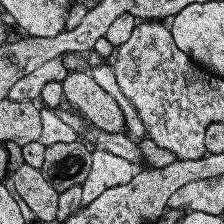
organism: Human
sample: Temporal Lobe